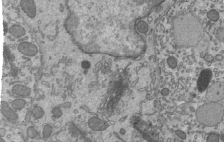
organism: Mouse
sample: Mouse epididymis efferent ductule cilia